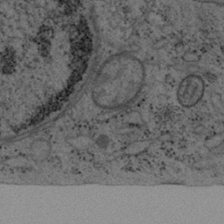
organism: Human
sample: HeLa cells